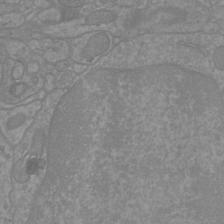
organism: Mouse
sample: Cortical neurons